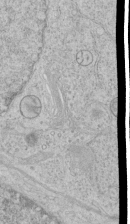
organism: Human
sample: Mitochondria in HCT116 cells